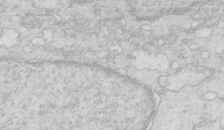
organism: Mouse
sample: Multiciliated cells